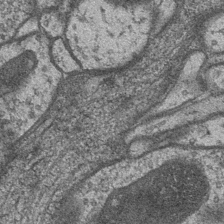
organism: Drosophila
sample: Optic medulla